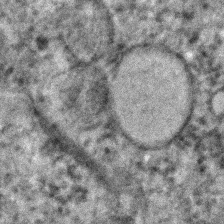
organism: C. elegans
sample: C. elegans embryo